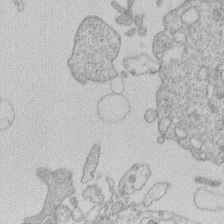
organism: Human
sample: Macrophage cells